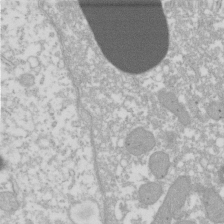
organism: Xenopus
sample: Cilia; centrioles in frog embryo cells